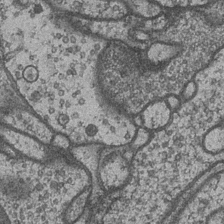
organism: Drosophila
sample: Optic medulla